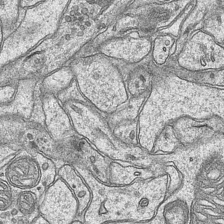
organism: Mouse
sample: CA1 Hippocampus